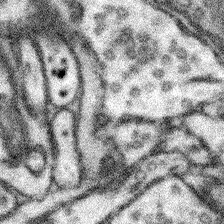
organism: Mouse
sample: Somatosensory cortex neuropil